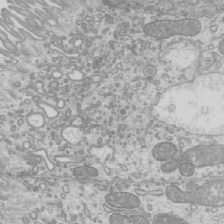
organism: Mouse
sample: Cilia; mouse epididymis